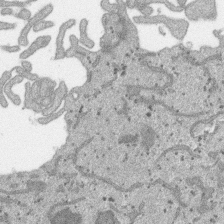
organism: Human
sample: Lung epithelial cells infected with SARS-CoV-2